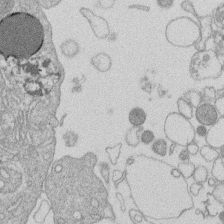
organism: Human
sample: Macrophage cells